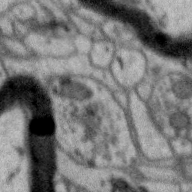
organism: Zebra finch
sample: Brain